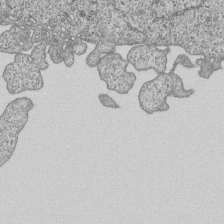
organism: Human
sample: MDA-MB-231 cells